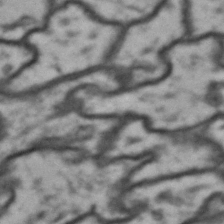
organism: Drosophila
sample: Brain